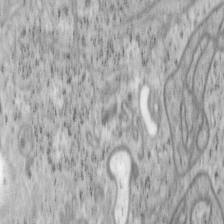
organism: Human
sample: HeLa cells